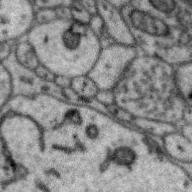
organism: Zebra finch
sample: Brain